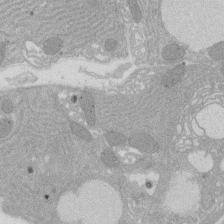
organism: Rat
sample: Salivary granule